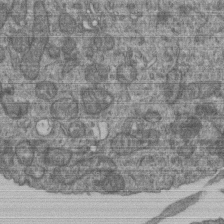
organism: Human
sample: Retinal organoid Rod and Cone cells